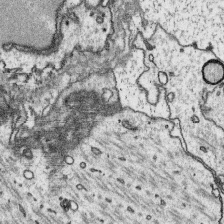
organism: Platynereis dumerilii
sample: Parapodia